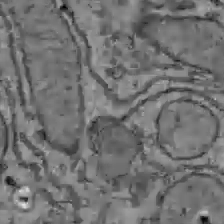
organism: C57BL Mouse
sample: Liver